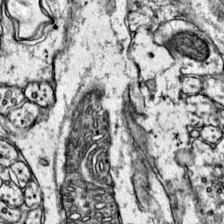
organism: Mouse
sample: Primary visual cortex